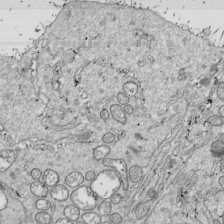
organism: Drosophila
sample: Cell division; meiosis; drosophila spermatocytes